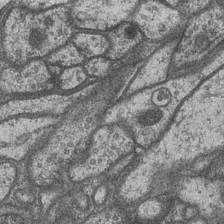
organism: Drosophila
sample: Optic medulla